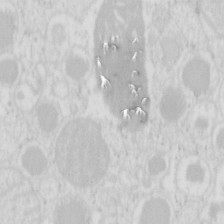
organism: Mouse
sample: Pancreas